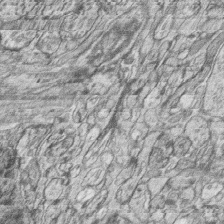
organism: Zebrafish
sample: synaptic ribbons in rod cells and cone cells